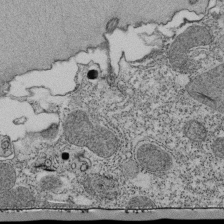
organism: Tetrahymena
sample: Cilia in tetrahymena